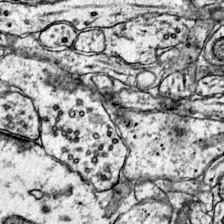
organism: Mouse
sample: Primary visual cortex